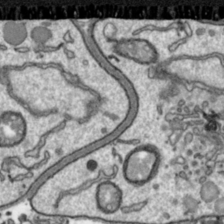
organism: Toxoplasma gondii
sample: Parasites in a vacuole inside a host cell